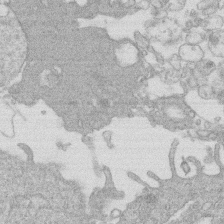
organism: Human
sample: Macrophage cells